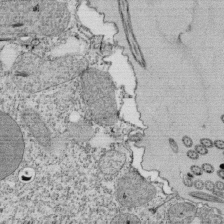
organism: Tetrahymena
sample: Cilia in tetrahymena